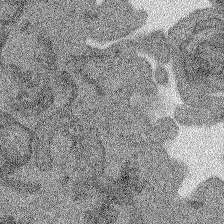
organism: Human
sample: HeLa cells